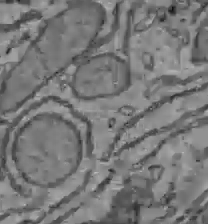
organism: C57BL Mouse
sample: Liver